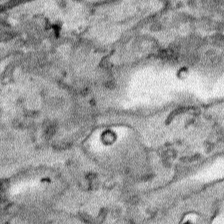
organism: Human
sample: Mitochondria in HCT116 cells